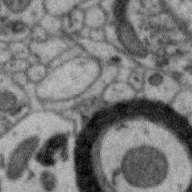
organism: Zebra finch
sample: Brain